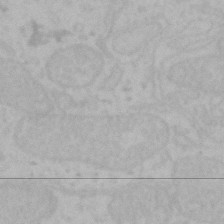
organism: Mouse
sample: Choroid plexus